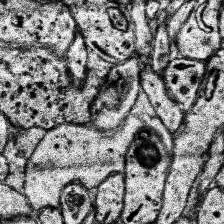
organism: Human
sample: Temporal Lobe